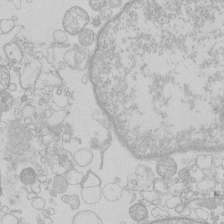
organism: Human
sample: Macrophage cells